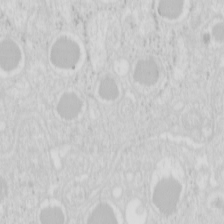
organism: Mouse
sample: Pancreas